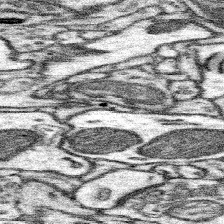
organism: Mouse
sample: Somatosensory cortex neuropil